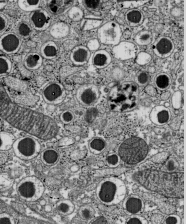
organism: C57BL Mouse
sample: Pancreatic islet